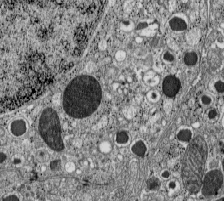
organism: C57BL Mouse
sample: Pancreatic islet